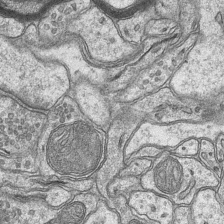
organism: Mouse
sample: CA1 Hippocampus